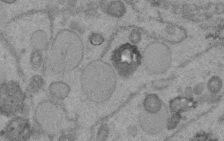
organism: C. elegans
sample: C. elegans embryo early stage